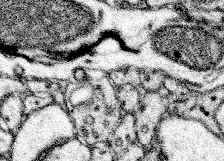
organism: Mouse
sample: Somatosensory cortex neuropil